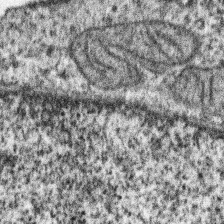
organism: Human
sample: HeLa cells